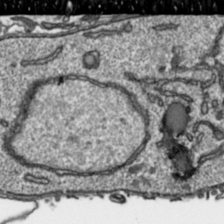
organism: Toxoplasma gondii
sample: Parasites in a vacuole inside a host cell